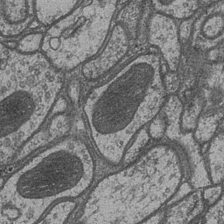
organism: Drosophila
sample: Optic medulla